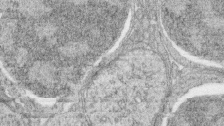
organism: Zebrafish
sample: synaptic ribbons in rod cells and cone cells